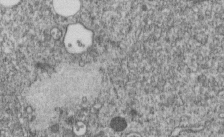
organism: C. elegans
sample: C. elegans embryo early stage